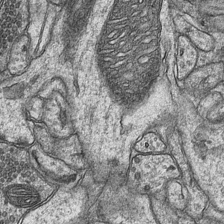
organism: Mouse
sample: CA1 Hippocampus